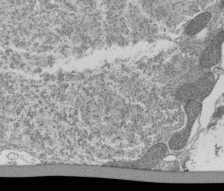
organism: Tetrahymena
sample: Cilia in tetrahymena